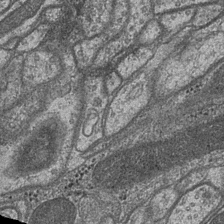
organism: Drosophila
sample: Optic medulla